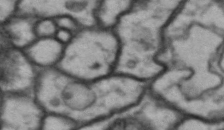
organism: Drosophila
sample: Brain